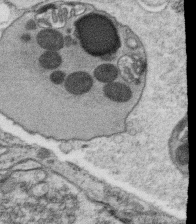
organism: C. elegans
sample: C. elegans oocyte; sperm cells